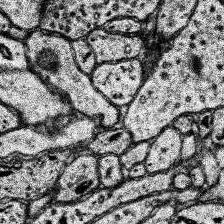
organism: Human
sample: Temporal Lobe